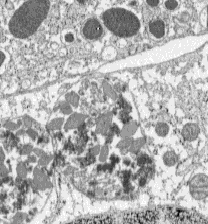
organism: C57BL Mouse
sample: Pancreatic islet